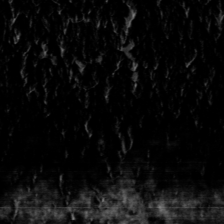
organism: Toxoplasma gondii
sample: Parasites in a vacuole inside a host cell